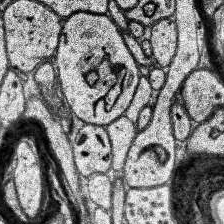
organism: Human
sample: Temporal Lobe